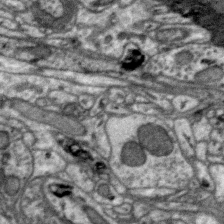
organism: Zebra finch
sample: Brain